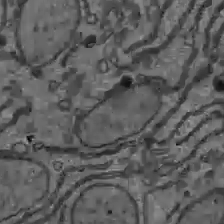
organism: C57BL Mouse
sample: Liver